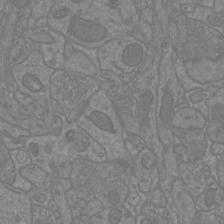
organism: Mouse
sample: Cortical neurons